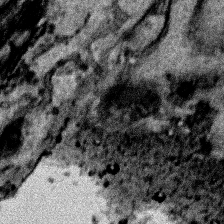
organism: Human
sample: Mitochondria in HCT116 cells